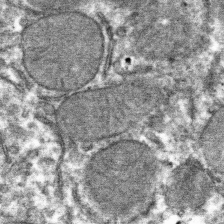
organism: Mouse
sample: Mouse hepatocytes